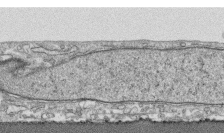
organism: Human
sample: CRL-1474